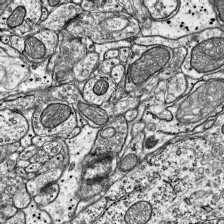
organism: Mouse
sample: Visual Cortex